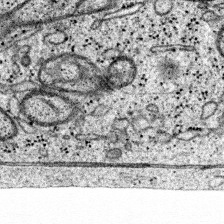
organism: Human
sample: HeLa cells